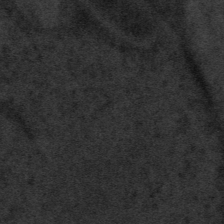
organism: Tuwongella immobilis